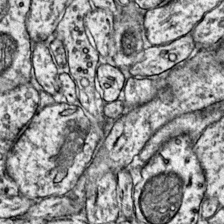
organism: Mouse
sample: Primary visual cortex